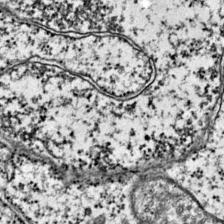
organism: Mouse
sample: Primary visual cortex